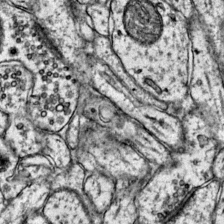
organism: Mouse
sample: Primary visual cortex